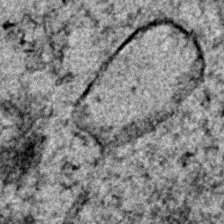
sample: Trachea